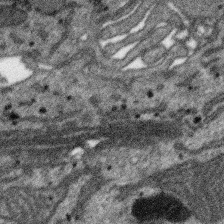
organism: Human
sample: Lung epithelial cells infected with SARS-CoV-2